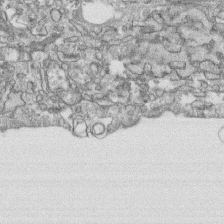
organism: Human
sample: CRL-1474